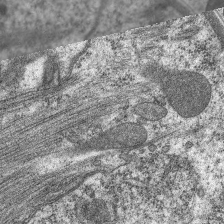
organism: C. elegans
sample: Pharynx